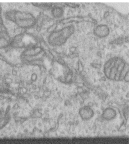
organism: Human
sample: Centriole in RPE cells